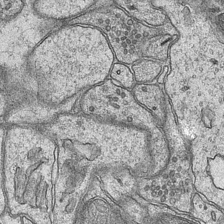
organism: Mouse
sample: CA1 Hippocampus